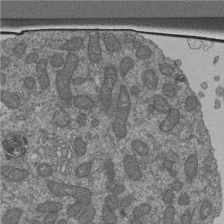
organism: Human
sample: Retinal organoid Rod and Cone cells